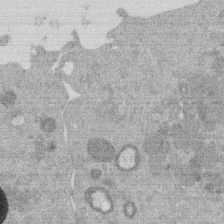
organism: Mouse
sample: Dividing mouse embryo 1 cell stage